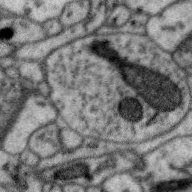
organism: Zebra finch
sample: Brain